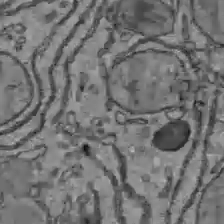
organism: C57BL Mouse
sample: Liver